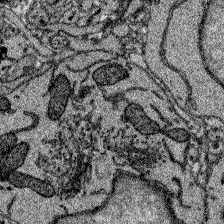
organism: Zebrafish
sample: Larval olfactory bulb